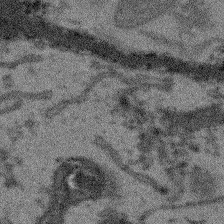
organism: Arabidopsis thaliana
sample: Root tip